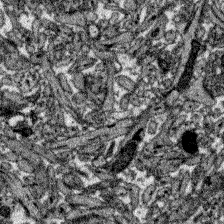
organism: Zebrafish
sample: Larval olfactory bulb